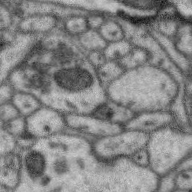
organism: Zebra finch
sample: Brain